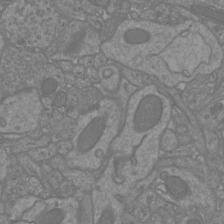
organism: Mouse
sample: Cortical neurons